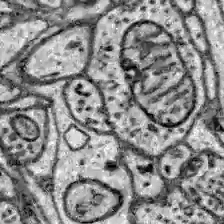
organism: Zebrafish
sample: Brain